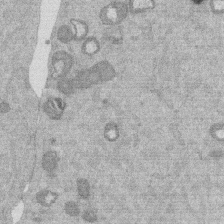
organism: Mouse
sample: Dividing mouse embryo 1 cell stage